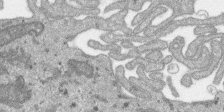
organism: Human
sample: Lung epithelial cells infected with SARS-CoV-2